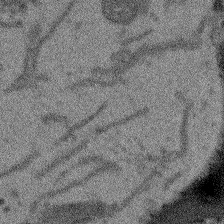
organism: Arabidopsis thaliana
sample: Root tip